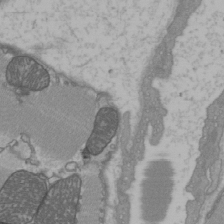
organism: C57BL Mouse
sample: Heart